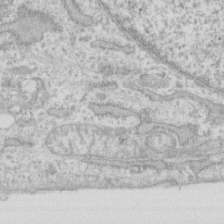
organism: Human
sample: Fibroblast cells